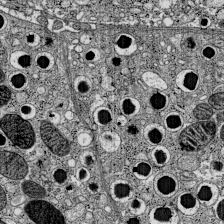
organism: C57BL Mouse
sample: Pancreatic islet